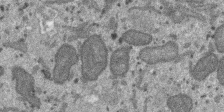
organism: Human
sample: Lung epithelial cells infected with SARS-CoV-2